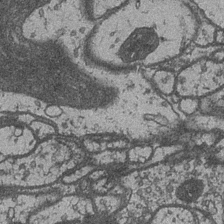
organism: Drosophila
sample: Optic medulla